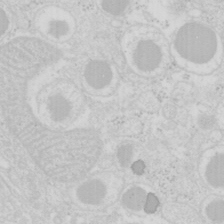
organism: Mouse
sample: Pancreas